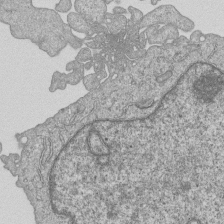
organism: Human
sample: MDA-MB-231 cells